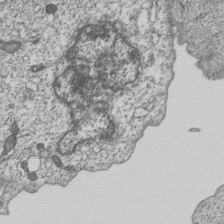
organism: Human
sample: MDA-MB-231 cells